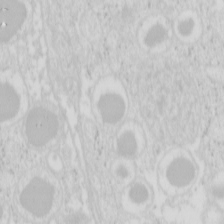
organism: Mouse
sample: Pancreas